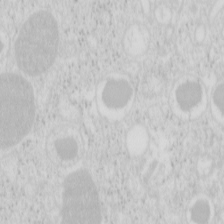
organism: Mouse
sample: Pancreas